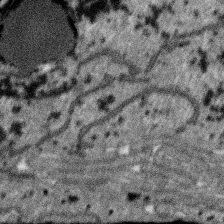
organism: Human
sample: Lung epithelial cells infected with SARS-CoV-2